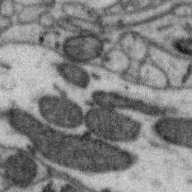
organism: Zebra finch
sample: Brain